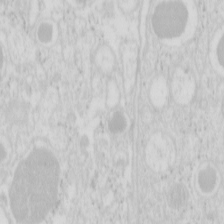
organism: Mouse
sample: Pancreas